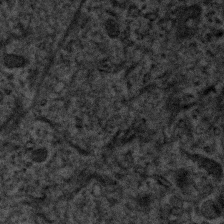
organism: Human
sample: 1205lu cells